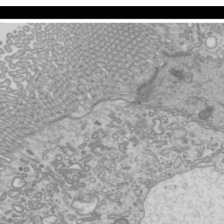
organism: Mouse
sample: Cilia; mouse epididymis